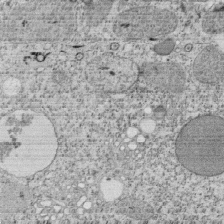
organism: Tetrahymena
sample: Cilia in tetrahymena